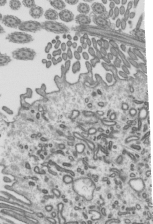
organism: Mouse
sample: Mouse epididymis efferent ductule cilia